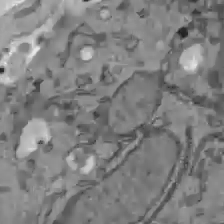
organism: C57BL Mouse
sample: Liver